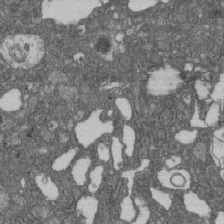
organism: Drosophila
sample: Nephrocyte